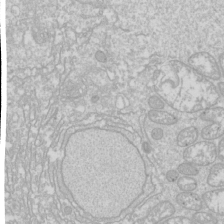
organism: Drosophila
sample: Cell division; meiosis; drosophila spermatocytes